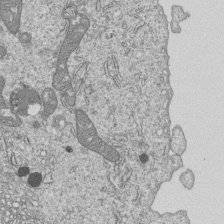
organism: Human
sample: MDA-MB-231 cells